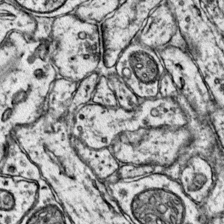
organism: Mouse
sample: Primary visual cortex